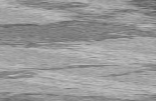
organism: C57BL Mouse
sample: Heart